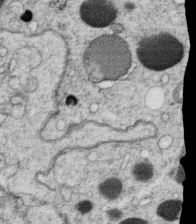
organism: C. elegans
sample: C. elegans oocyte; sperm cells